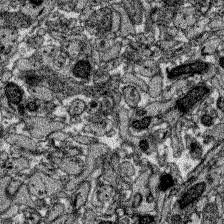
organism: Zebrafish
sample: Larval olfactory bulb